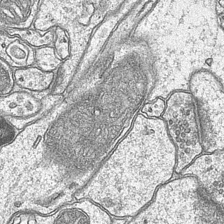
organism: Mouse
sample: CA1 Hippocampus